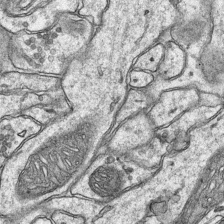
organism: Mouse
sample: CA1 Hippocampus